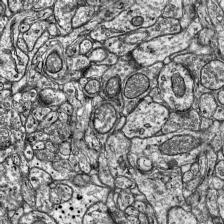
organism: Mouse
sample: Visual Cortex